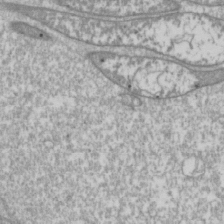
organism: Drosophila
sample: Cell division; meiosis; drosophila spermatocytes